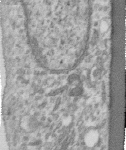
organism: Human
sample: Centriole in RPE cells